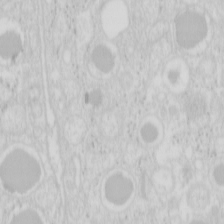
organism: Mouse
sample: Pancreas